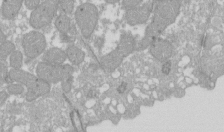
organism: Xenopus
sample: Cilia; centrioles in frog embryo cells